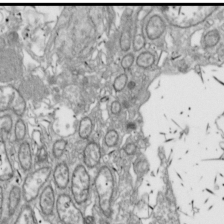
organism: Drosophila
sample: Cell division; meiosis; drosophila spermatocytes